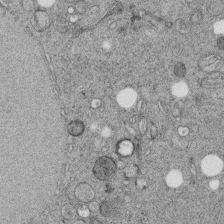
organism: C. elegans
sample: C. elegans embryo early stage